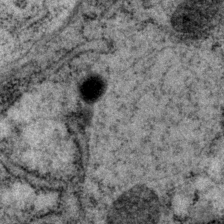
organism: P. pacificus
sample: Pharynx